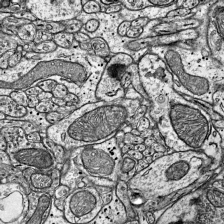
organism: Mouse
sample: Visual Cortex